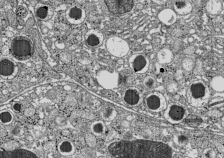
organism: C57BL Mouse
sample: Pancreatic islet